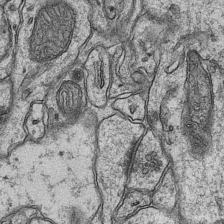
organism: Mouse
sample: CA1 Hippocampus